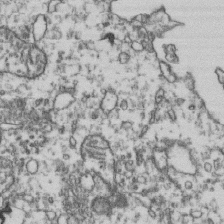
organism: Human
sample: Activated Jurkat CD4+ T cells